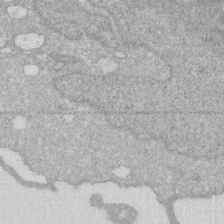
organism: Human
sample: HIV infected U937 cells